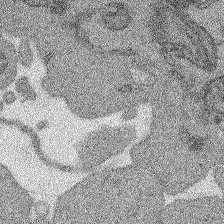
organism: Human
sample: HeLa cells